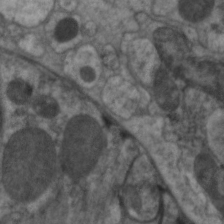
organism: C. elegans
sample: Pharynx